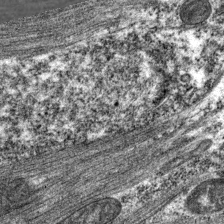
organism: C. elegans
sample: Pharynx